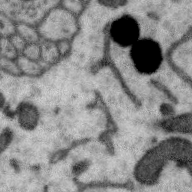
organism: Zebra finch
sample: Brain